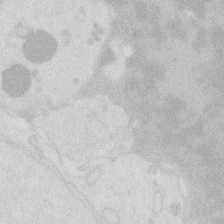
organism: Zebrafish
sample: Macrophage